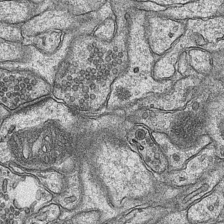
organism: Mouse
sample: CA1 Hippocampus